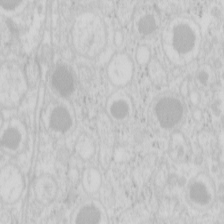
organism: Mouse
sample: Pancreas